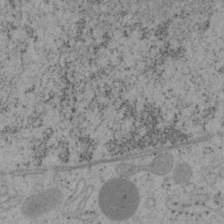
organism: Human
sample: HeLa cells